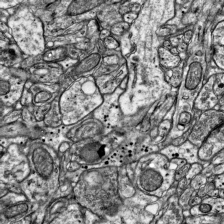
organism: Mouse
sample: Visual Cortex